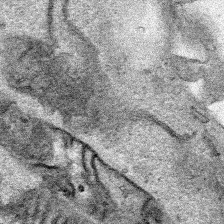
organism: Human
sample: Mitochondria in HCT116 cells